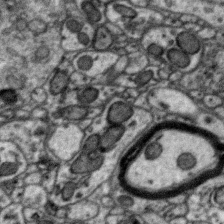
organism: Zebra finch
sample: Brain